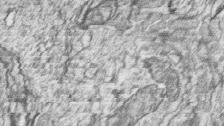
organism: Zebrafish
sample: synaptic ribbons in rod cells and cone cells